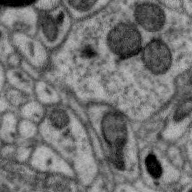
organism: Zebra finch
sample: Brain